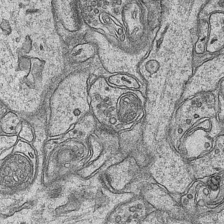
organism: Mouse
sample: CA1 Hippocampus